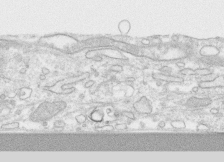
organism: Human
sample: CRL-1474